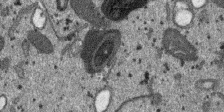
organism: Human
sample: Lung epithelial cells infected with SARS-CoV-2